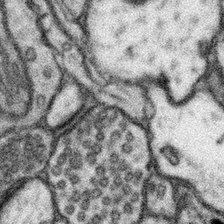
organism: Mouse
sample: Somatosensory cortex neuropil